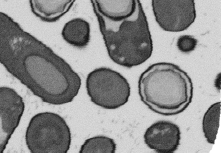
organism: B. subtilis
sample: Bacterial spore